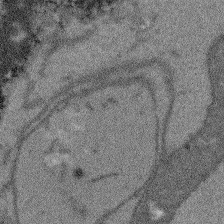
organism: Arabidopsis thaliana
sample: Root tip